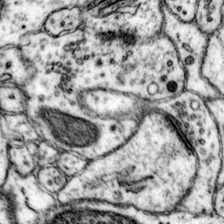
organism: Mouse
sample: Primary visual cortex